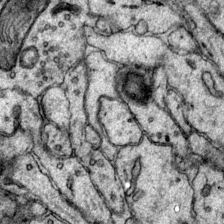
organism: Mouse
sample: Primary visual cortex